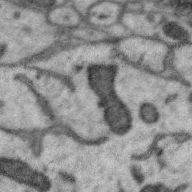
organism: Zebra finch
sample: Brain